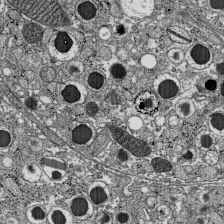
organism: C57BL Mouse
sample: Pancreatic islet